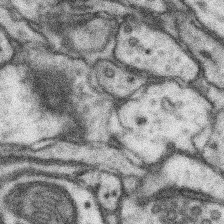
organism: Mouse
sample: Somatosensory cortex neuropil